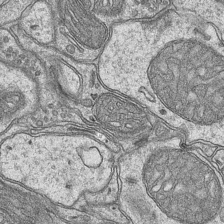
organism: Mouse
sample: CA1 Hippocampus